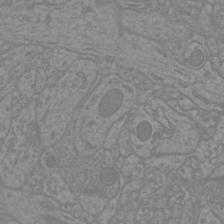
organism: Mouse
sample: Cortical neurons